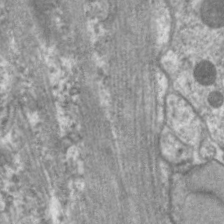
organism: C. elegans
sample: Pharynx